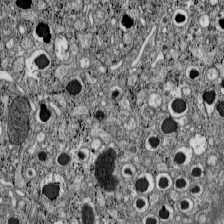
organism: C57BL Mouse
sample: Pancreatic islet